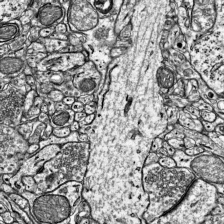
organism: Mouse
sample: Visual Cortex